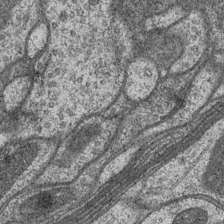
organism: Drosophila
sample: Optic medulla